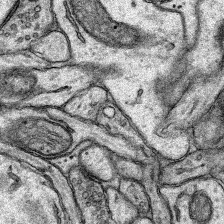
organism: Rat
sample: Hippocampus